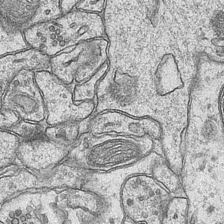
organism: Mouse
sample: CA1 Hippocampus